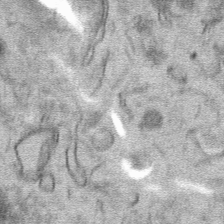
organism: Mouse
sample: Mouse hepatocytes